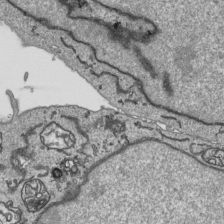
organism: Human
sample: Mitochondria in HCT116 cells